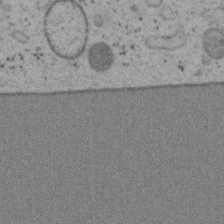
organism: Human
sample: HeLa cells